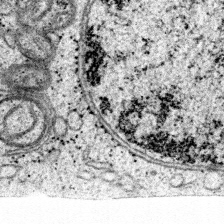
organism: Human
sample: HeLa cells